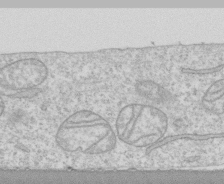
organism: Human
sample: CRL-1474